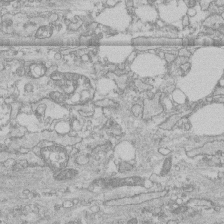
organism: Human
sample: CRL-1474